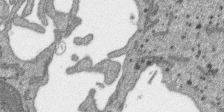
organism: Human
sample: Lung epithelial cells infected with SARS-CoV-2